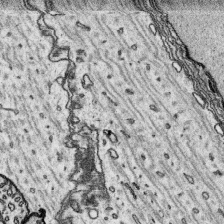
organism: Platynereis dumerilii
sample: Parapodia